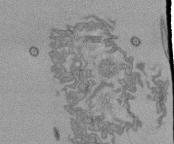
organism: Tetrahymena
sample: Cilia in tetrahymena